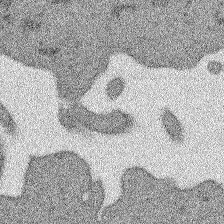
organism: Human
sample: HeLa cells